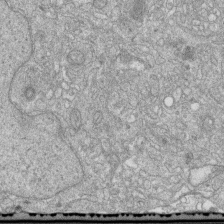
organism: Human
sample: HeLa cell HIV synapse